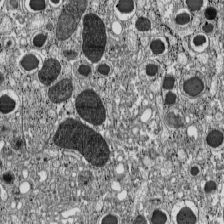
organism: C57BL Mouse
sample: Pancreatic islet